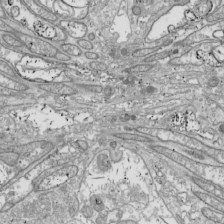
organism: Drosophila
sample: Cell division; meiosis; drosophila spermatocytes